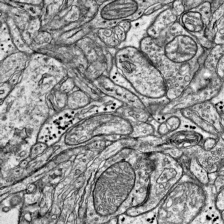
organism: Mouse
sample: Visual Cortex